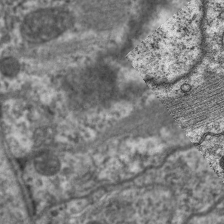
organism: C. elegans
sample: Pharynx